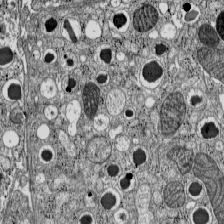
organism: C57BL Mouse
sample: Pancreatic islet